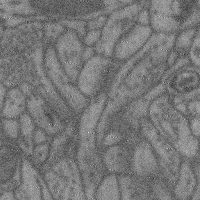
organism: Mouse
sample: Cerebral cortex